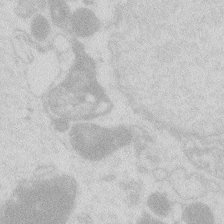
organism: Zebrafish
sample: Macrophage